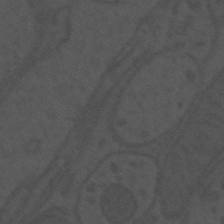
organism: Mouse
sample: Suprachiasmatic nucleus